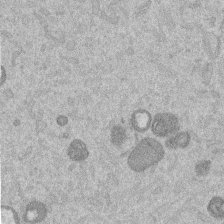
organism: Mouse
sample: Dividing mouse embryo 1 cell stage